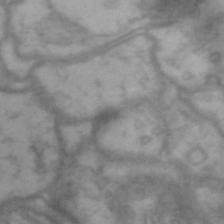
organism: Drosophila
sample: Brain